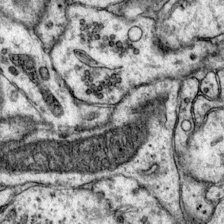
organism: Mouse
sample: Primary visual cortex